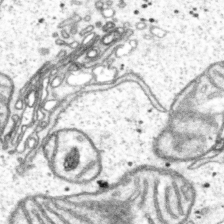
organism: Human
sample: HeLa cells